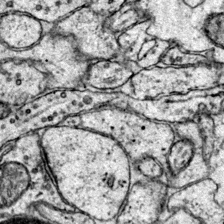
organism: Mouse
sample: Primary visual cortex